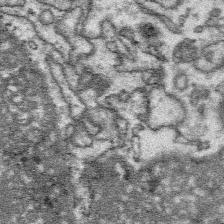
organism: Platynereis dumerilii